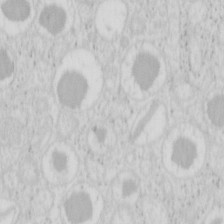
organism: Mouse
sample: Pancreas